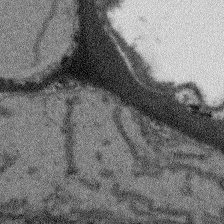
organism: Arabidopsis thaliana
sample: Root tip